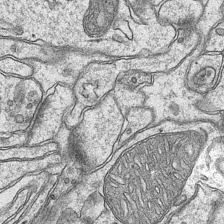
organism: Mouse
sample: CA1 Hippocampus